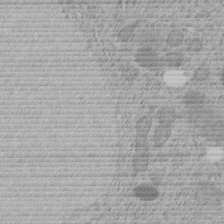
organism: C. elegans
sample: C. elegans embryo early stage